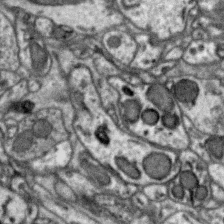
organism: Zebra finch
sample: Brain